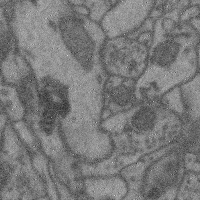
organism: Mouse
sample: Cerebral cortex